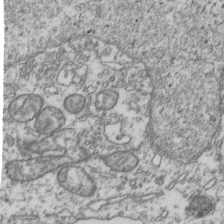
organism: Human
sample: Activated Jurkat CD4+ T cells